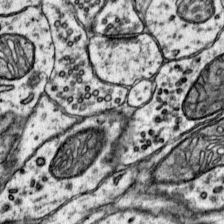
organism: Mouse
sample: Primary visual cortex